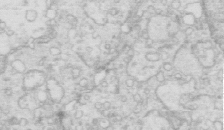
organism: Mouse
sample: Multiciliated cells